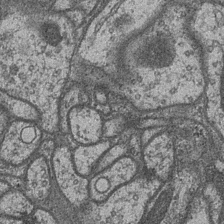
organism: Drosophila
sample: Optic medulla